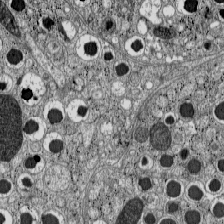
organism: C57BL Mouse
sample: Pancreatic islet